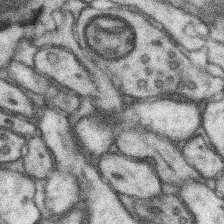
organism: Mouse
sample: Somatosensory cortex neuropil